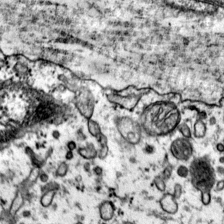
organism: Mouse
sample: Primary visual cortex